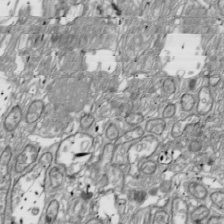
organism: Drosophila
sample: Cell division; meiosis; drosophila spermatocytes